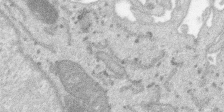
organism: Human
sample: Lung epithelial cells infected with SARS-CoV-2